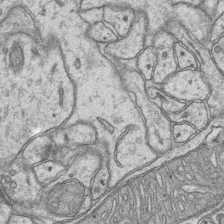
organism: Mouse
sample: CA1 Hippocampus